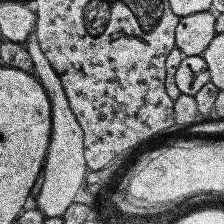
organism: Human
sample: Temporal Lobe